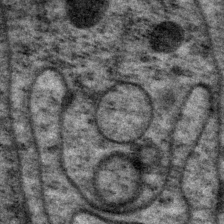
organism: P. pacificus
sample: Pharynx